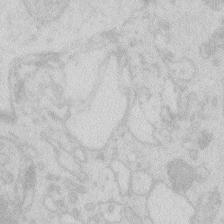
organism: Zebrafish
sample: Macrophage